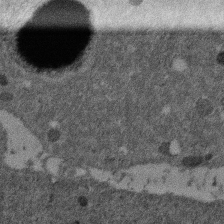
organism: Mouse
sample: Dividing mouse embryo 1 cell stage